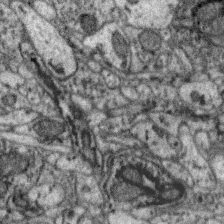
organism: Zebra finch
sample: Brain